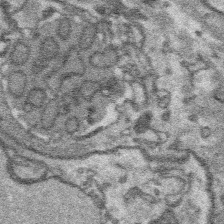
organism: Platynereis dumerilii